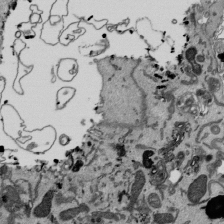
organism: Mouse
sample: ED-1 cell nuclei; centrioles